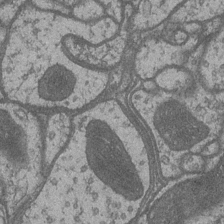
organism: Drosophila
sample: Optic medulla